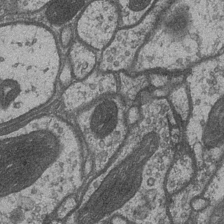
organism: Drosophila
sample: Optic medulla